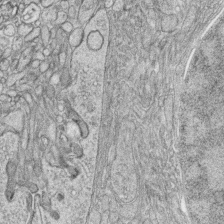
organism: Zebrafish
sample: synaptic ribbons in rod cells and cone cells